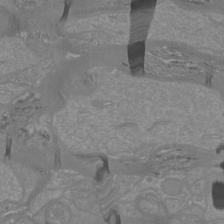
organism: Mouse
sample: Cortical neurons